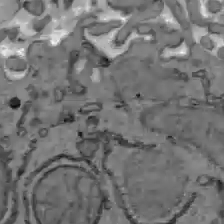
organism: C57BL Mouse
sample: Liver